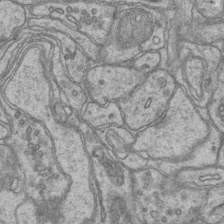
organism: Mouse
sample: CA1 Hippocampus